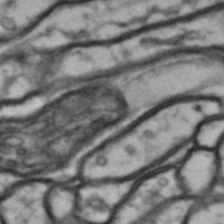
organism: Drosophila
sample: Brain